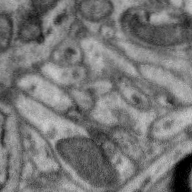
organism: Zebra finch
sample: Brain